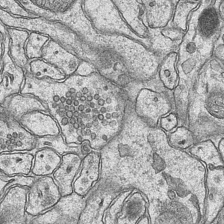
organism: Mouse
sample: CA1 Hippocampus